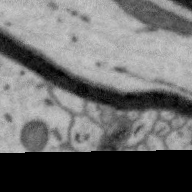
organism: Zebra finch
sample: Brain